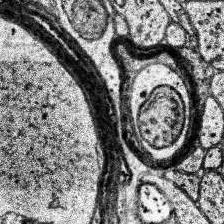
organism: Human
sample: Temporal Lobe